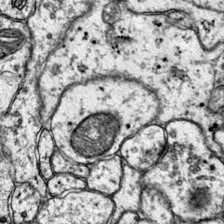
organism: Mouse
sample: Primary visual cortex